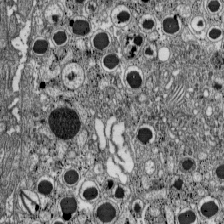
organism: C57BL Mouse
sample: Pancreatic islet